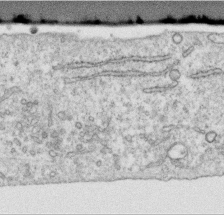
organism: Human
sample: Centriole in RPE cells